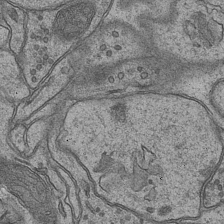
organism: Mouse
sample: CA1 Hippocampus